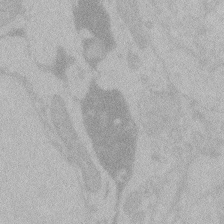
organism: Zebrafish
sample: Macrophage infected with Toxoplasma gondii